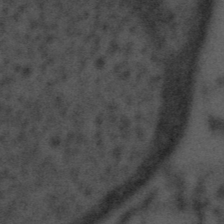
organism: Tuwongella immobilis